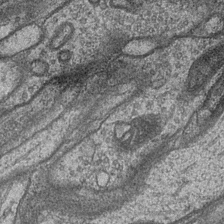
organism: Drosophila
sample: Optic medulla